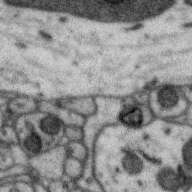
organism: Zebra finch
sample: Brain